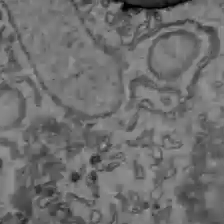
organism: C57BL Mouse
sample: Liver